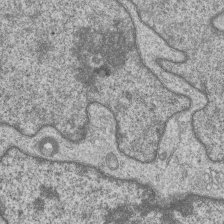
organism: Human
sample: MDA-MB-231 cells